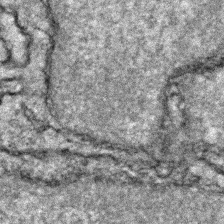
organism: Zebrafish